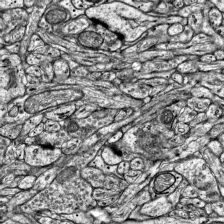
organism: Mouse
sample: Visual Cortex